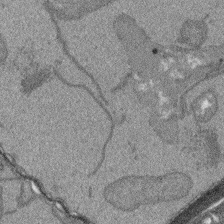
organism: Arabidopsis thaliana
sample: Root tip